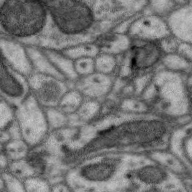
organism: Zebra finch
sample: Brain